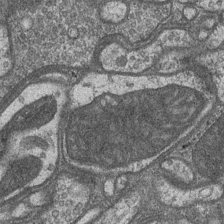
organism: Drosophila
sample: Optic medulla